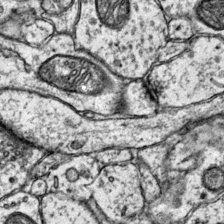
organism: Mouse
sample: Primary visual cortex